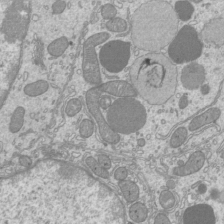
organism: Mouse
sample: Cilia; mouse epididymis